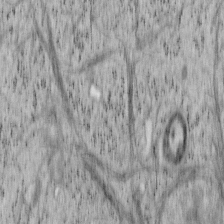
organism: Human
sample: HeLa cells